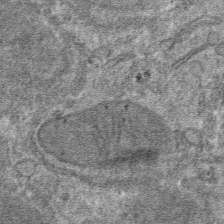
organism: Mouse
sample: Mouse hepatocytes